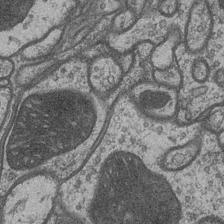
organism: Drosophila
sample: Optic medulla